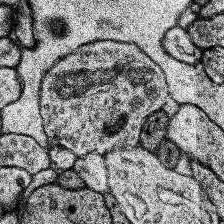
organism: Human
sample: Temporal Lobe